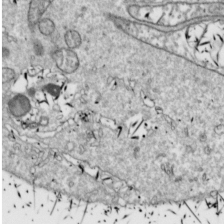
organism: Drosophila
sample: Cell division; meiosis; drosophila spermatocytes